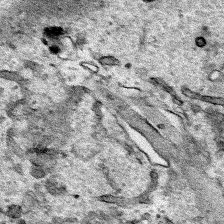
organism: Human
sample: Mitochondria in HCT116 cells